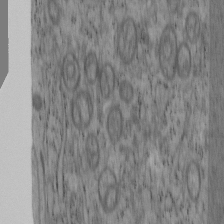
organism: Human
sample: HeLa cells